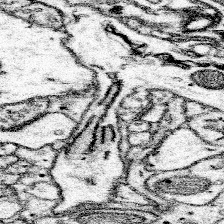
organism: Mouse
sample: Somatosensory cortex neuropil